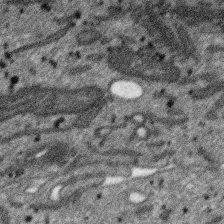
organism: Human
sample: Lung epithelial cells infected with SARS-CoV-2